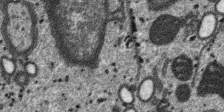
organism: Human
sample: Lung epithelial cells infected with SARS-CoV-2